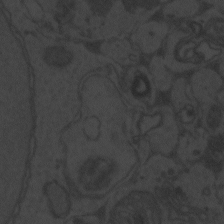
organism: Zebrafish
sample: Macrophage infected with Toxoplasma gondii